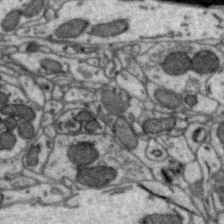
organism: Zebra finch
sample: Brain